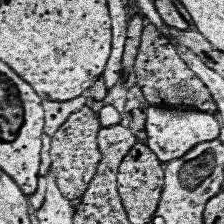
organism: Human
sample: Temporal Lobe